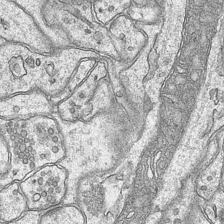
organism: Mouse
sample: CA1 Hippocampus